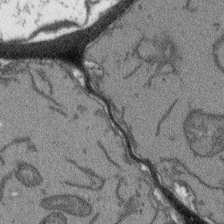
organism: Arabidopsis thaliana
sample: Root tip